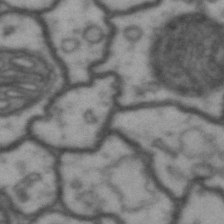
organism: Drosophila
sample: Brain